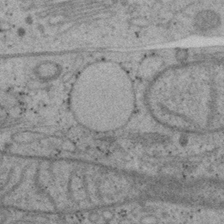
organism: Human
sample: HeLa cells